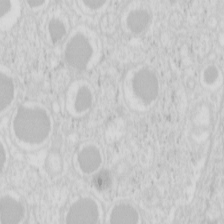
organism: Mouse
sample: Pancreas